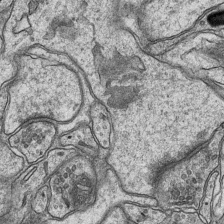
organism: Mouse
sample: CA1 Hippocampus